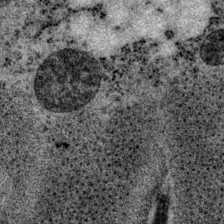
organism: P. pacificus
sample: Pharynx